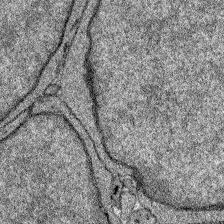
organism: Zebrafish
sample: Larval olfactory bulb